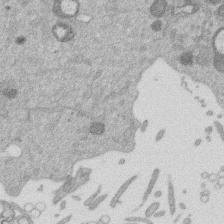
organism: Mouse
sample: Dividing mouse embryo 1 cell stage